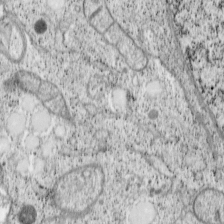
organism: African green monkey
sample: COS-7 cells